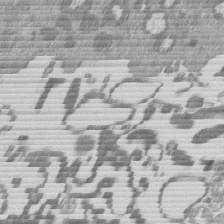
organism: Mouse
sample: Dividing mouse embryo 1 cell stage